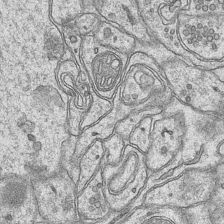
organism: Mouse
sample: CA1 Hippocampus